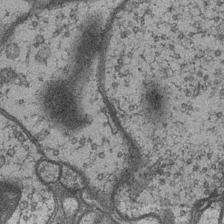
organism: Drosophila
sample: Optic medulla